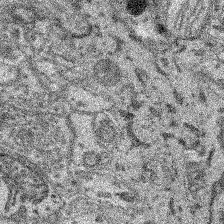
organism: Mouse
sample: Retina